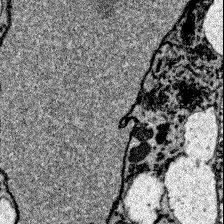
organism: Zebrafish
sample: Larval olfactory bulb